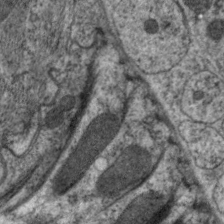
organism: C. elegans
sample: Pharynx